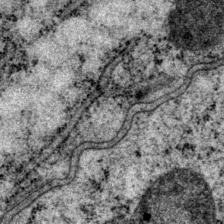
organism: P. pacificus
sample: Pharynx